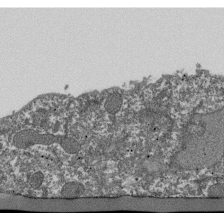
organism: Dictyostelium discoideum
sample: Dictyostelium multivesicular bodies